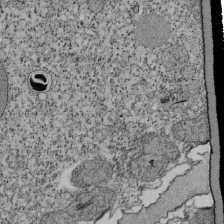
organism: Tetrahymena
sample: Cilia in tetrahymena